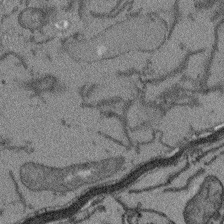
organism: Arabidopsis thaliana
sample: Root tip